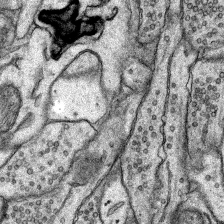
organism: Rat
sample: Hippocampus